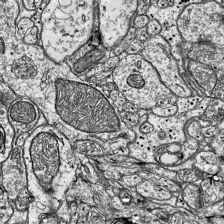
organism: Mouse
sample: Visual Cortex